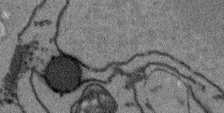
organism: Arabidopsis thaliana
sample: Root tip